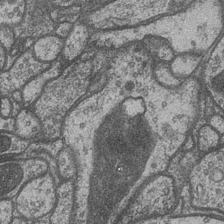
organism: Drosophila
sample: Optic medulla